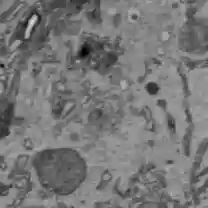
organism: C57BL Mouse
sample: Liver